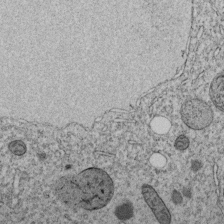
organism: C. elegans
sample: C. elegans embryo early stage